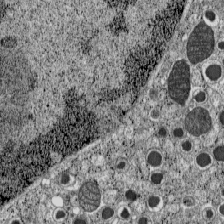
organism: C57BL Mouse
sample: Pancreatic islet